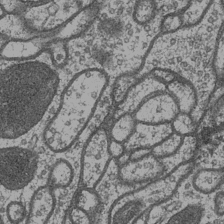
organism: Drosophila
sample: Optic medulla